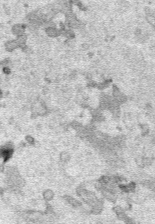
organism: Human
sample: Mitochondria in HCT116 cells